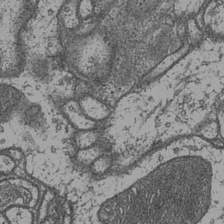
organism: Drosophila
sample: Optic medulla